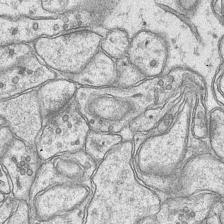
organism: Mouse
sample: CA1 Hippocampus